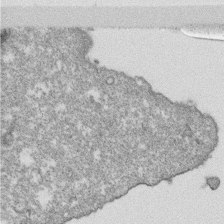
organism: African green monkey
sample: Vero E6 cells infected with SARS-CoV-2